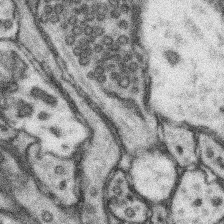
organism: Mouse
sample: Somatosensory cortex neuropil